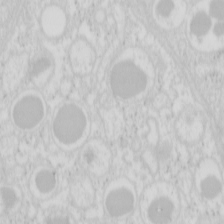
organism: Mouse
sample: Pancreas